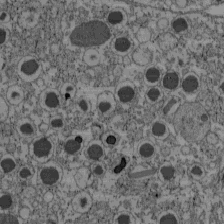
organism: C57BL Mouse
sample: Pancreatic islet